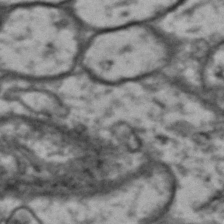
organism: Drosophila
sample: Brain